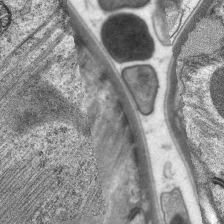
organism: C. elegans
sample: Pharynx